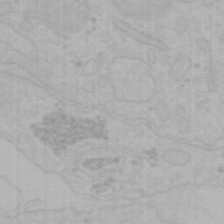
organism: Mouse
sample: Choroid plexus